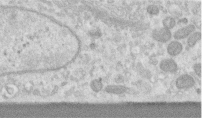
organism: Human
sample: Centriole in RPE cells